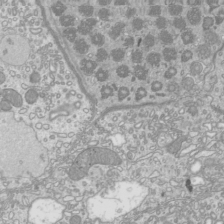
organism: Mouse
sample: Cilia; mouse epididymis